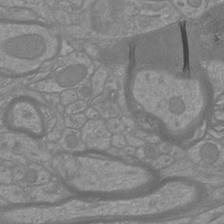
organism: Mouse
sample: Cortical neurons